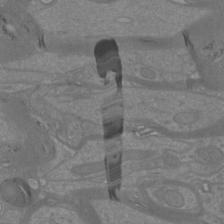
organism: Mouse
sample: Cortical neurons